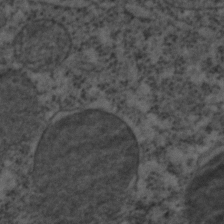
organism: C. elegans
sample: C. elegans embryo